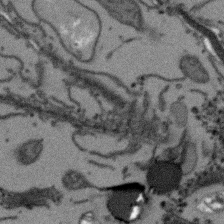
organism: Arabidopsis thaliana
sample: Root tip